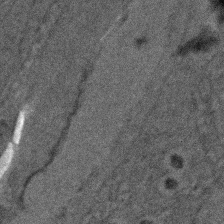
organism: Zebrafish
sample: Zebrafish embryo